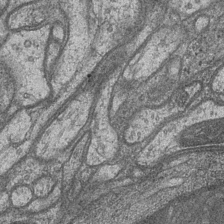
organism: Drosophila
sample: Optic medulla